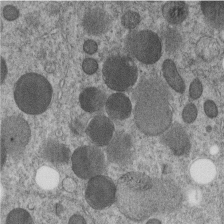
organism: C. elegans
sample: C. elegans embryo early stage